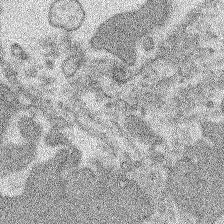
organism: Human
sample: HeLa cells